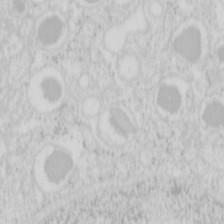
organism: Mouse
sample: Pancreas